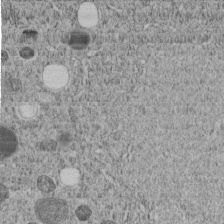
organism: C. elegans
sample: C. elegans embryo early stage